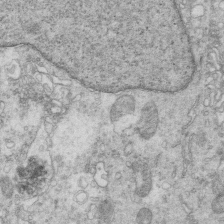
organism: Mouse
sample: Multiciliated cells